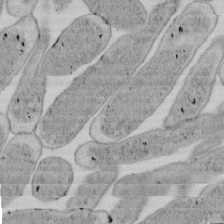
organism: E. coli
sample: Bacterial nucleoid